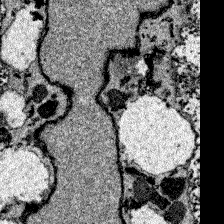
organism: Zebrafish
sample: Larval olfactory bulb